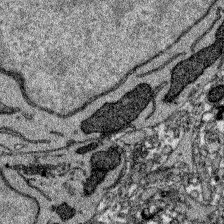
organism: Zebrafish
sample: Larval olfactory bulb